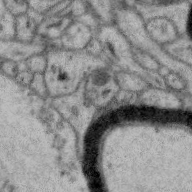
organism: Zebra finch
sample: Brain